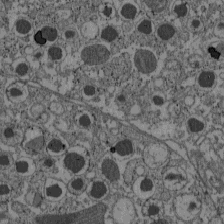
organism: C57BL Mouse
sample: Pancreatic islet